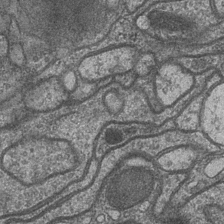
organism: Drosophila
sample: Optic medulla